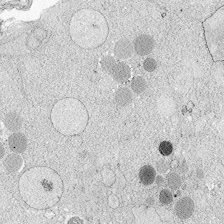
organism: Zebrafish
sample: Whole-Brain